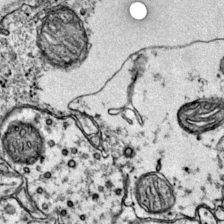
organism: Mouse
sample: Primary visual cortex